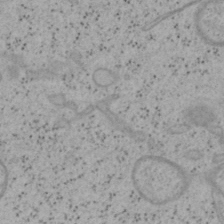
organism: Human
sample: HeLa cells